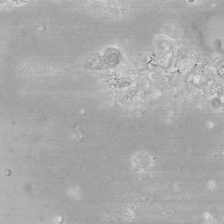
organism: Drosophila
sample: Cell division; meiosis; drosophila spermatocytes